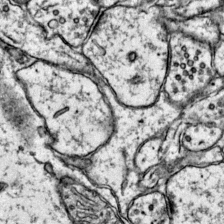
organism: Mouse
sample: Primary visual cortex